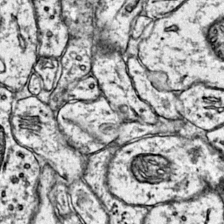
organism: Mouse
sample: Primary visual cortex